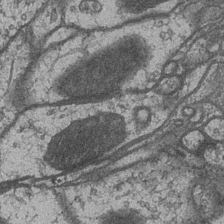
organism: Drosophila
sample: Optic medulla